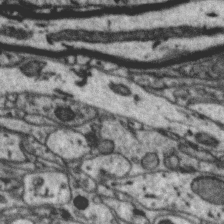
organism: Zebra finch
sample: Brain